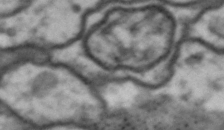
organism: Drosophila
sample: Brain